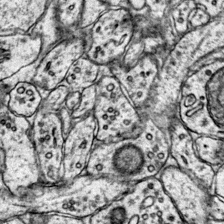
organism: Mouse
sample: Primary visual cortex